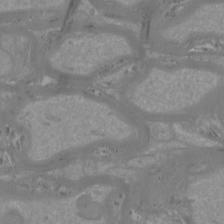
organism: Mouse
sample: Cortical neurons